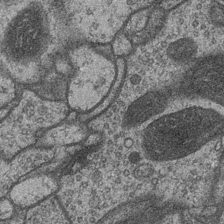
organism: Drosophila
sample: Optic medulla